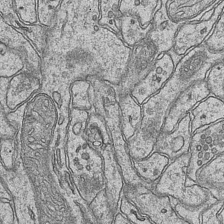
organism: Mouse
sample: CA1 Hippocampus